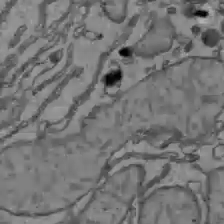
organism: C57BL Mouse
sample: Liver